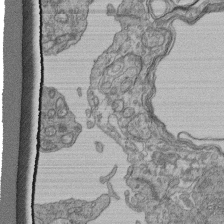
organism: Human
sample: Retinal organoid Rod and Cone cells